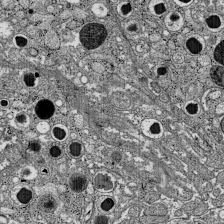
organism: C57BL Mouse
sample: Pancreatic islet